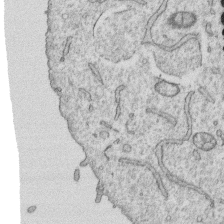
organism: Human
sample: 1205lu cells